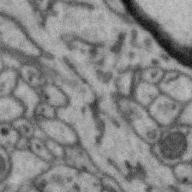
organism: Zebra finch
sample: Brain